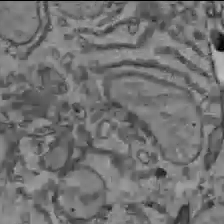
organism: C57BL Mouse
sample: Liver